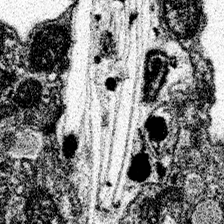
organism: Spongilla lacustris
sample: Neuroid cell